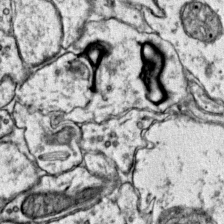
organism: Mouse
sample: Primary visual cortex